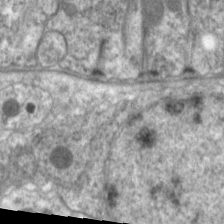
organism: C. elegans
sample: Pharynx